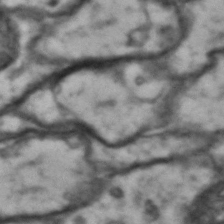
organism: Drosophila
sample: Brain